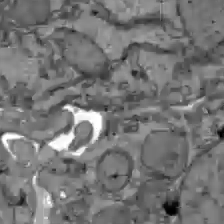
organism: C57BL Mouse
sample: Liver